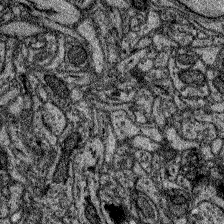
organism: Zebrafish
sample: Larval olfactory bulb